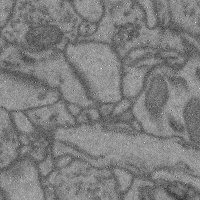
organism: Mouse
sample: Cerebral cortex